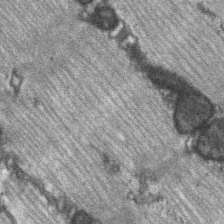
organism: C57BL Mouse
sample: Soleus